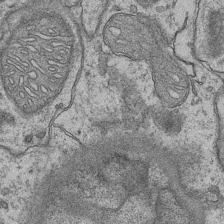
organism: Mouse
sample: CA1 Hippocampus